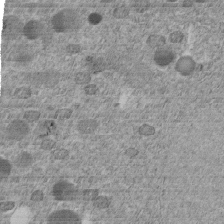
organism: C. elegans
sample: C. elegans embryo early stage